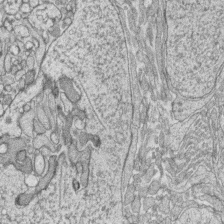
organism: Zebrafish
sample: synaptic ribbons in rod cells and cone cells